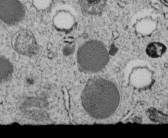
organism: C. elegans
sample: C. elegans embryo early stage